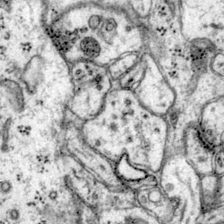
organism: Mouse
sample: Primary visual cortex